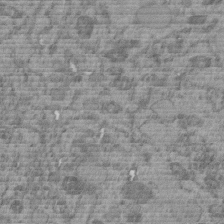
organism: C. elegans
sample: C. elegans embryo early stage